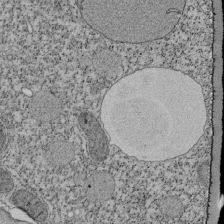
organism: Tetrahymena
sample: Cilia in tetrahymena